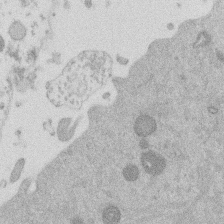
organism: Mouse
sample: Dividing mouse embryo 1 cell stage